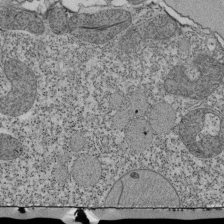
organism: Tetrahymena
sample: Cilia in tetrahymena